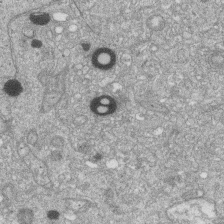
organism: Human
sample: HeLa cell HIV synapse